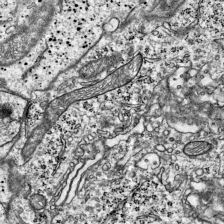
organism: Mouse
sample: Visual Cortex